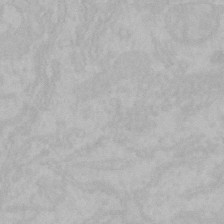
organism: Mouse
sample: Choroid plexus